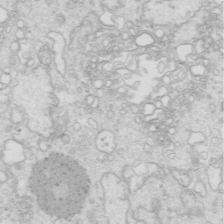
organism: Mouse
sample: Multiciliated cells